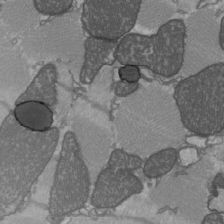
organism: C57BL Mouse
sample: Heart